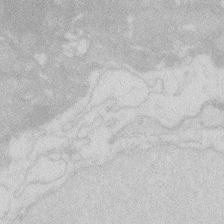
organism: Zebrafish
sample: Macrophage